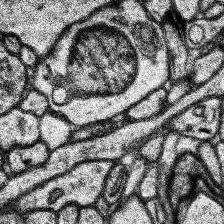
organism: Human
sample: Temporal Lobe